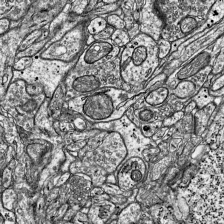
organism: Mouse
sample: Visual Cortex